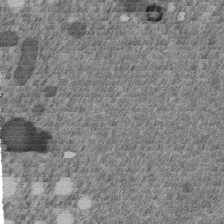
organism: C. elegans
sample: C. elegans embryo early stage